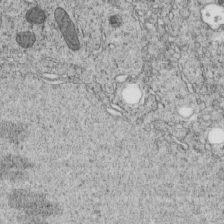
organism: C. elegans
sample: C. elegans embryo early stage